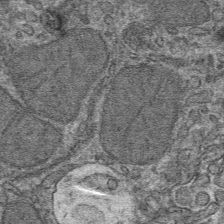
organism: Mouse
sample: Mouse hepatocytes